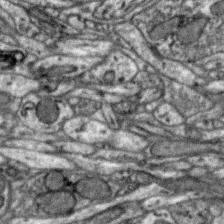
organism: Zebra finch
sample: Brain